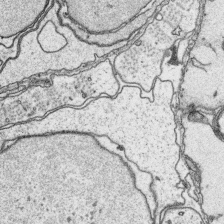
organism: Platynereis dumerilii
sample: Parapodia